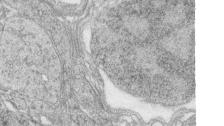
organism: Zebrafish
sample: synaptic ribbons in rod cells and cone cells